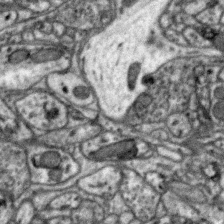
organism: Zebra finch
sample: Brain